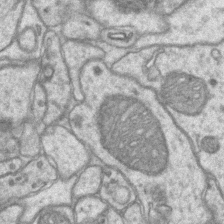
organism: Mouse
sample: CA1 Hippocampus